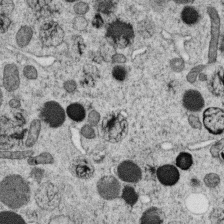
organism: C. elegans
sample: C. elegans oocyte; sperm cells